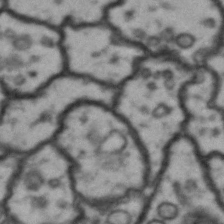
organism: Drosophila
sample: Brain